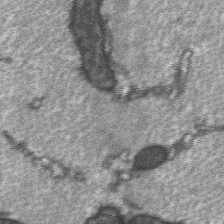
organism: C57BL Mouse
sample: Soleus